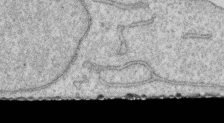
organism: Human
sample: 1205lu cells